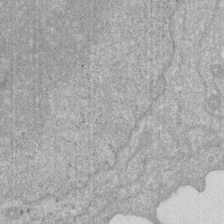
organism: Human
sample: HIV infected U937 cells